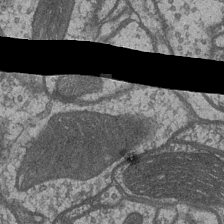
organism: Drosophila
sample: Optic medulla